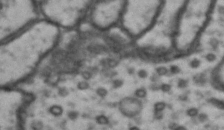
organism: Drosophila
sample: Brain